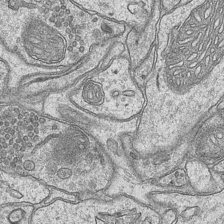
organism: Mouse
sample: CA1 Hippocampus